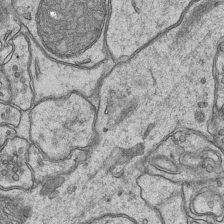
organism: Mouse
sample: CA1 Hippocampus